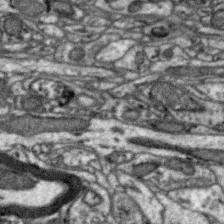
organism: Zebra finch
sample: Brain